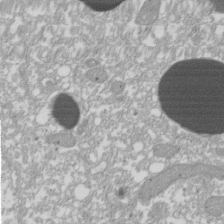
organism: Xenopus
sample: Cilia; centrioles in frog embryo cells